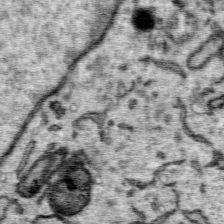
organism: Human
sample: HeLa cells